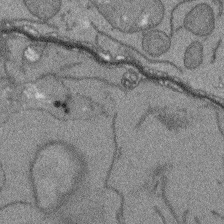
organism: Arabidopsis thaliana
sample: Root tip